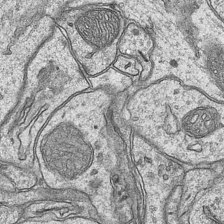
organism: Mouse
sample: CA1 Hippocampus